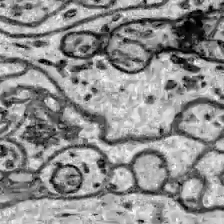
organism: Zebrafish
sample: Brain